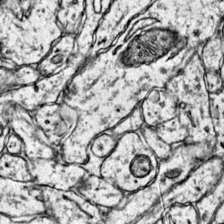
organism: Mouse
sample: Primary visual cortex